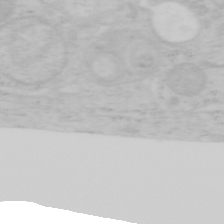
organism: Mouse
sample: OT-I killer T cells with ID8 ovarian cancer cells